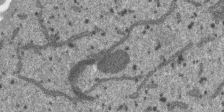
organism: Human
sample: Lung epithelial cells infected with SARS-CoV-2